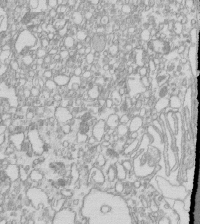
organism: Mouse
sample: Macrophages